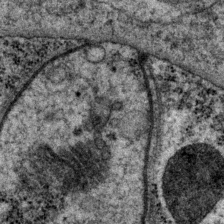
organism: P. pacificus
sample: Pharynx